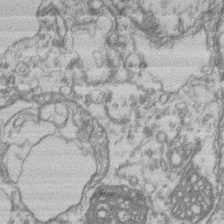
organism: Mouse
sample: T cell stromal cell synapse